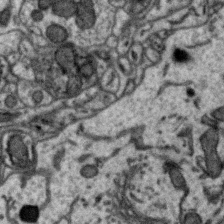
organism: Zebra finch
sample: Brain